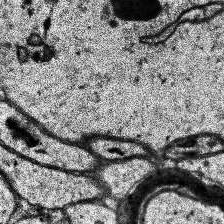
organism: Human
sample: Temporal Lobe